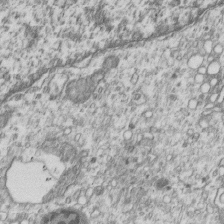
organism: Human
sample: MDA-MB-231 cells